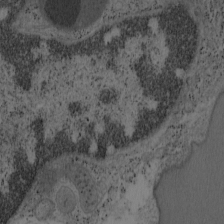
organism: Mouse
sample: OT-I killer T cells with ID8 ovarian cancer cells